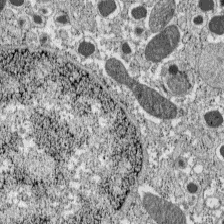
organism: C57BL Mouse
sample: Pancreatic islet